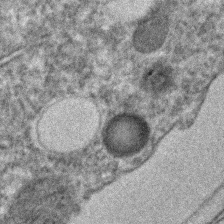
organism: C. elegans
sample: C. elegans embryo